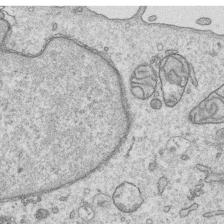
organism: Human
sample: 1205lu cells